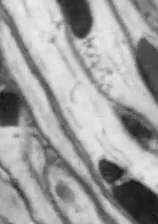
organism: Drosophila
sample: Optic lobe